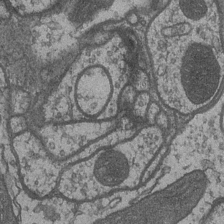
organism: Drosophila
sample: Optic medulla